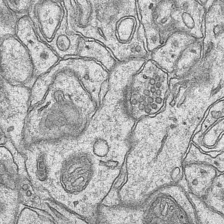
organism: Mouse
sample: CA1 Hippocampus